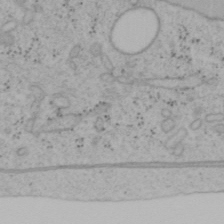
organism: Human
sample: HeLa cells